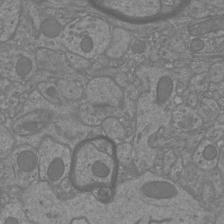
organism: Mouse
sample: Cortical neurons